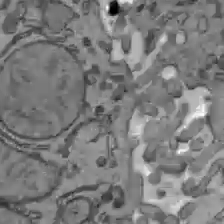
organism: C57BL Mouse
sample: Liver